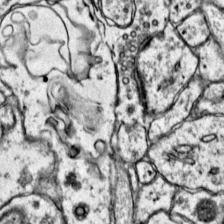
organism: Mouse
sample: Primary visual cortex